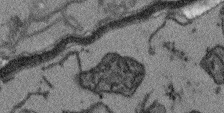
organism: Arabidopsis thaliana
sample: Root tip